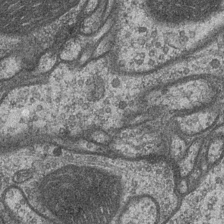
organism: Drosophila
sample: Optic medulla